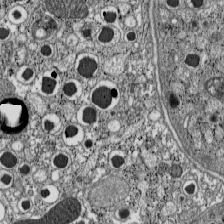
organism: C57BL Mouse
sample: Pancreatic islet